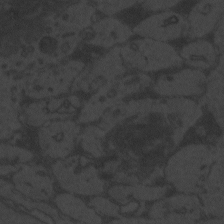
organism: Zebrafish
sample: Macrophage infected with Toxoplasma gondii